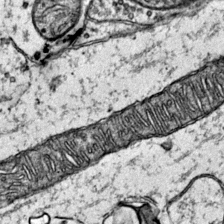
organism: Mouse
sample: Primary visual cortex